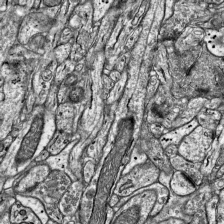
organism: Mouse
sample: Visual Cortex